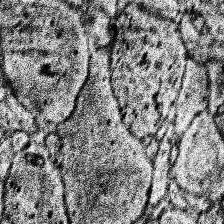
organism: Human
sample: Temporal Lobe